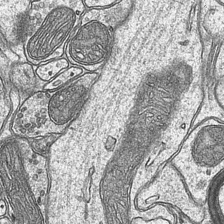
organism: Mouse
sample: CA1 Hippocampus